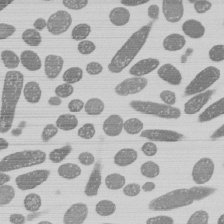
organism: E. coli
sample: Bacterial nucleoid